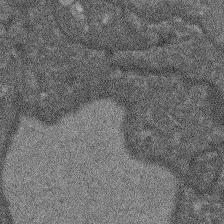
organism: Arabidopsis thaliana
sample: Root tip